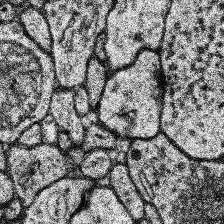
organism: Human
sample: Temporal Lobe